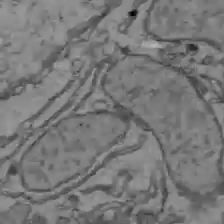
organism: C57BL Mouse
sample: Liver